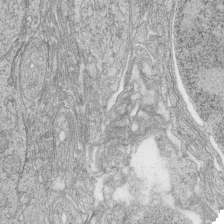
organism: Zebrafish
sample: synaptic ribbons in rod cells and cone cells